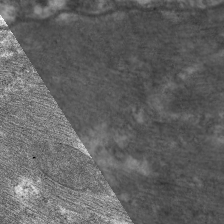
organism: C. elegans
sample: Pharynx